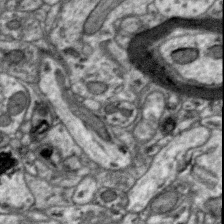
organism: Zebra finch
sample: Brain